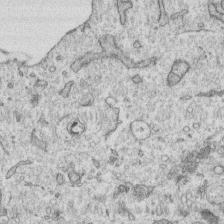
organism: Human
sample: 1205lu cells